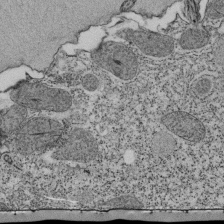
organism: Tetrahymena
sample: Cilia in tetrahymena